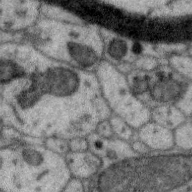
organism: Zebra finch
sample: Brain